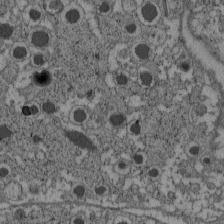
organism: C57BL Mouse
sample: Pancreatic islet